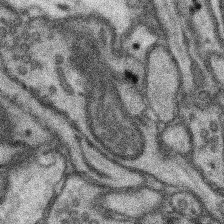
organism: Mouse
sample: Somatosensory cortex neuropil